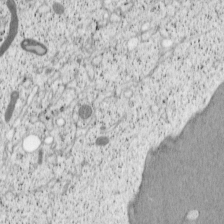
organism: African green monkey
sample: COS-7 cells